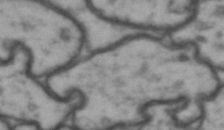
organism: Drosophila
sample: Brain